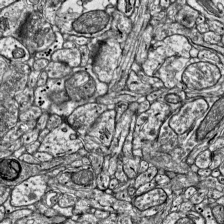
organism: Mouse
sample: Visual Cortex